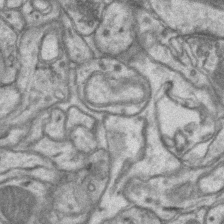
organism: Mouse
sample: CA1 Hippocampus